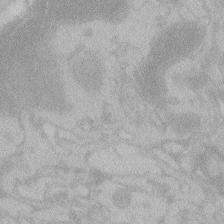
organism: Zebrafish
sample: Macrophage infected with Toxoplasma gondii